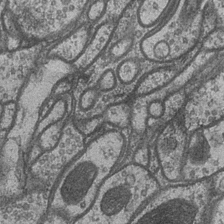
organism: Drosophila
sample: Optic medulla